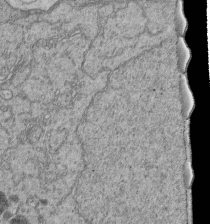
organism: Human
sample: Retinal organoid Rod and Cone cells